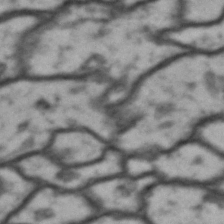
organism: Drosophila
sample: Brain